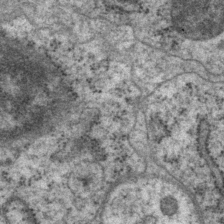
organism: P. pacificus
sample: Pharynx